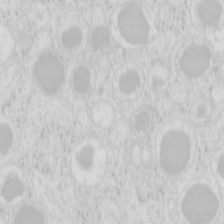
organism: Mouse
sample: Pancreas